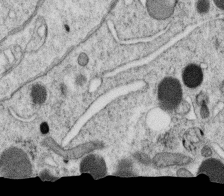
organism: C. elegans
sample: C. elegans oocyte; sperm cells